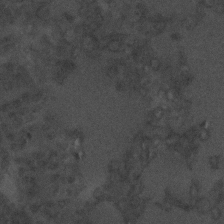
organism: C. elegans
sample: C. elegans embryo